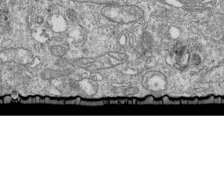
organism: Human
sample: HeLa cell HIV synapse